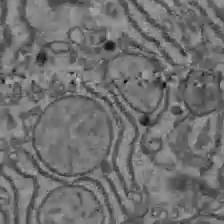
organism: C57BL Mouse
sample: Liver